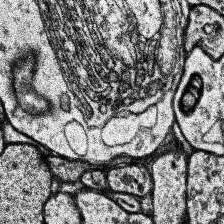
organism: Human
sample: Temporal Lobe